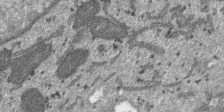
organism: Human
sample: Lung epithelial cells infected with SARS-CoV-2